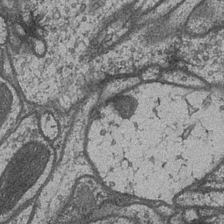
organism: Drosophila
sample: Optic medulla